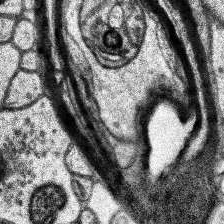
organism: Human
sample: Temporal Lobe